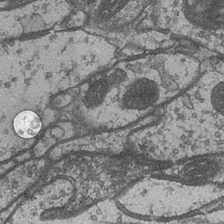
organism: Drosophila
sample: Optic medulla